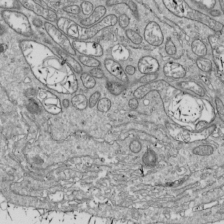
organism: Drosophila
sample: Cell division; meiosis; drosophila spermatocytes